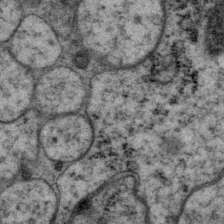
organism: P. pacificus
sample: Pharynx